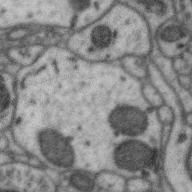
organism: Zebra finch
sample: Brain